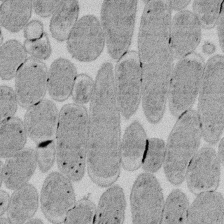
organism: E. coli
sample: Bacterial nucleoid